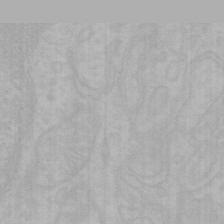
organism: Mouse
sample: Choroid plexus